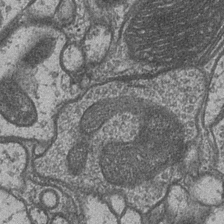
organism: Drosophila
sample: Optic medulla